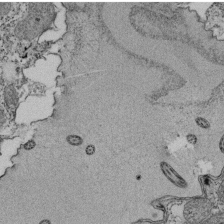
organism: Tetrahymena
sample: Cilia in tetrahymena